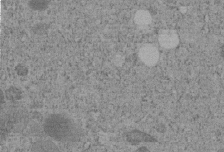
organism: C. elegans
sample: C. elegans embryo early stage